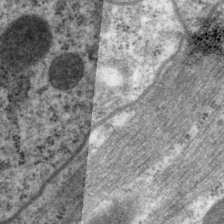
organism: P. pacificus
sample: Pharynx